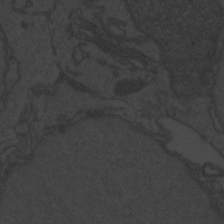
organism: Zebrafish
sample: Macrophage infected with Toxoplasma gondii